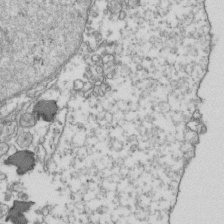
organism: Human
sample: Activated Jurkat CD4+ T cells